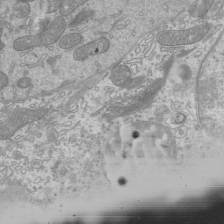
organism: Mouse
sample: Cilia; mouse epididymis